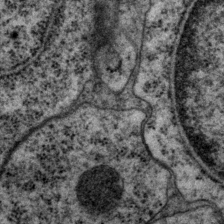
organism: P. pacificus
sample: Pharynx